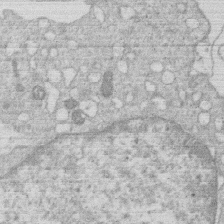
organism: Human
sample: Macrophage cells